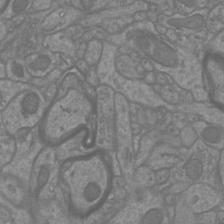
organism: Mouse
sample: Cortical neurons